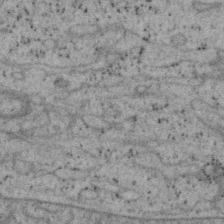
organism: Human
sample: HeLa cells